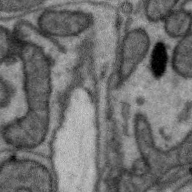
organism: Zebra finch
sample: Brain